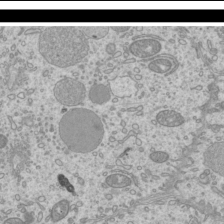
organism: Mouse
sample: Cilia; mouse epididymis